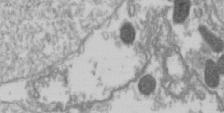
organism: Drosophila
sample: Cell division; meiosis; drosophila spermatocytes